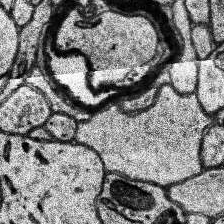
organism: Human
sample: Temporal Lobe